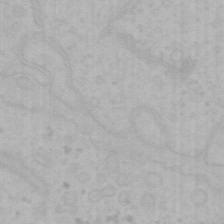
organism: Mouse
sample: Choroid plexus